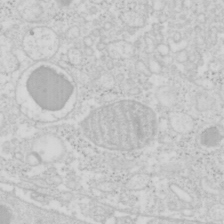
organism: Mouse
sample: Pancreas